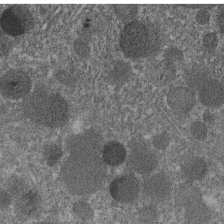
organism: C. elegans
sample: C. elegans embryo early stage